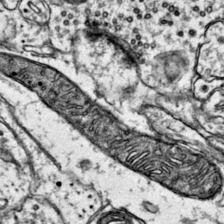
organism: Mouse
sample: Primary visual cortex